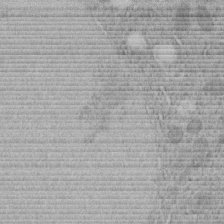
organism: C. elegans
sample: C. elegans embryo early stage